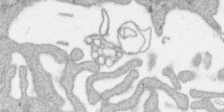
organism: Human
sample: Lung epithelial cells infected with SARS-CoV-2